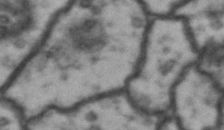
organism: Drosophila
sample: Brain